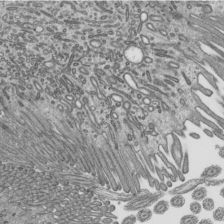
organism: Mouse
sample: Mouse epididymis efferent ductule cilia